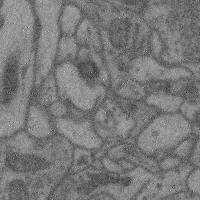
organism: Mouse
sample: Cerebral cortex